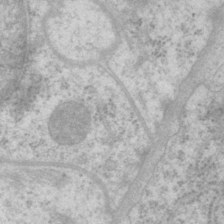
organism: P. pacificus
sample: Pharynx